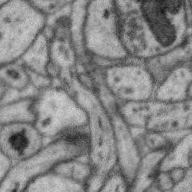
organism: Zebra finch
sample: Brain